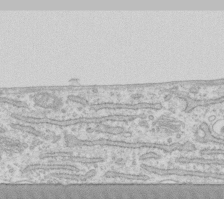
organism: Human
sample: Fibroblast cells